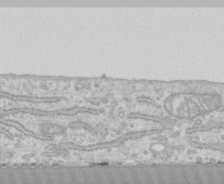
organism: Human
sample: CRL-1474